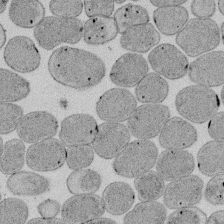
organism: E. coli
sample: Bacterial nucleoid